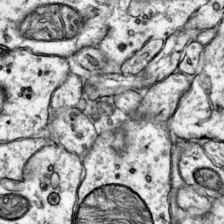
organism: Mouse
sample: Primary visual cortex